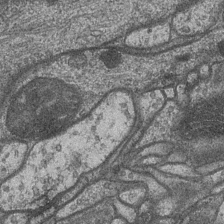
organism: Drosophila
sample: Optic medulla